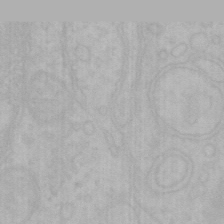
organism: Mouse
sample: Choroid plexus